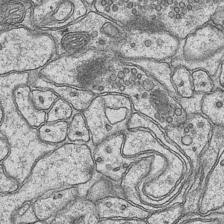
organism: Mouse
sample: CA1 Hippocampus